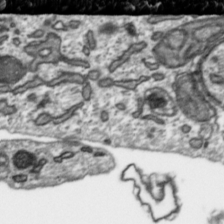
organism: Toxoplasma gondii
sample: Parasites in a vacuole inside a host cell